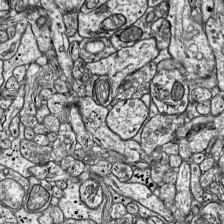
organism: Mouse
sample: Visual Cortex